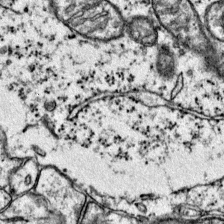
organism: Mouse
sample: Primary visual cortex